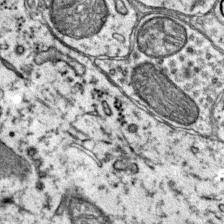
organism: Mouse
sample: Primary visual cortex